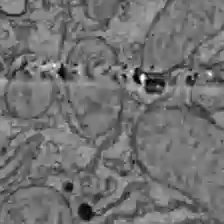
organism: C57BL Mouse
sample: Liver